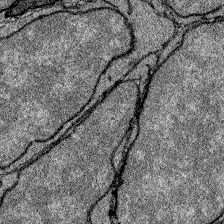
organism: Zebrafish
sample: Larval olfactory bulb